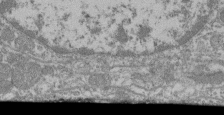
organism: Mouse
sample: Glomerulus